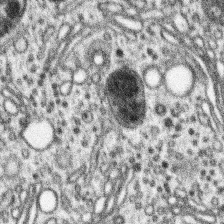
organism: Human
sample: HeLa cells